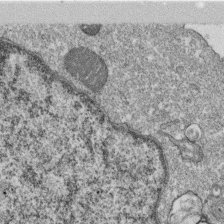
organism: African green monkey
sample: Vero E6 cells infected with SARS-CoV-2